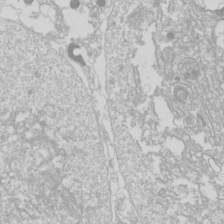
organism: Drosophila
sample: Cell division; meiosis; drosophila spermatocytes